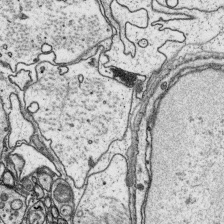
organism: Platynereis dumerilii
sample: Parapodia